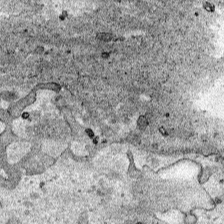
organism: Human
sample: Mitochondria in HCT116 cells